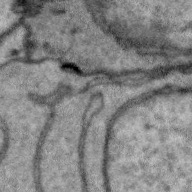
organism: Zebra finch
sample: Brain